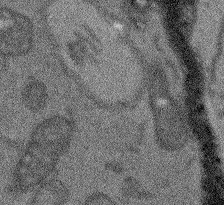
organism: Arabidopsis thaliana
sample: Root tip